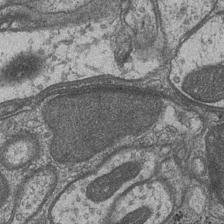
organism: Drosophila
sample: Optic medulla